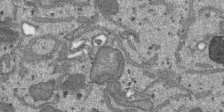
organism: Human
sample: Lung epithelial cells infected with SARS-CoV-2